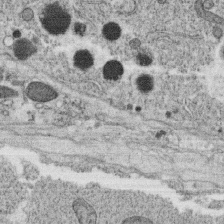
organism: C. elegans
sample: C. elegans oocyte; sperm cells